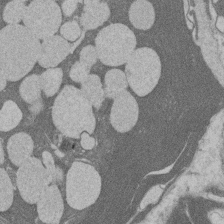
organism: Rat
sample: Salivary granule